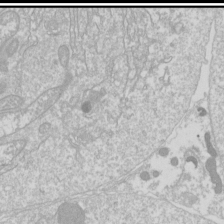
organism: Drosophila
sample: Cell division; meiosis; drosophila spermatocytes